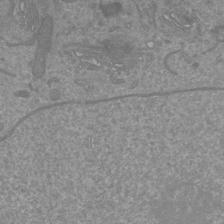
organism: Mouse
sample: Cortical neurons